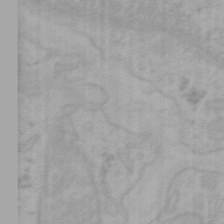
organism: Mouse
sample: Choroid plexus